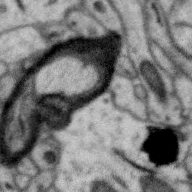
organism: Zebra finch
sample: Brain